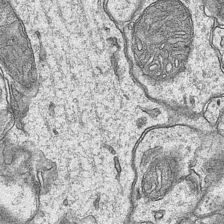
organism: Mouse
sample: CA1 Hippocampus